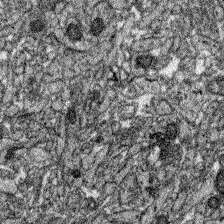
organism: Zebrafish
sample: Larval olfactory bulb